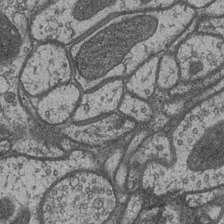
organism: Drosophila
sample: Optic medulla